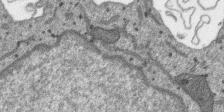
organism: Human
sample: Lung epithelial cells infected with SARS-CoV-2